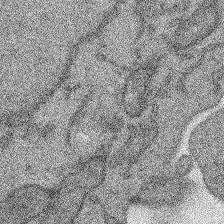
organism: Human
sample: HeLa cells